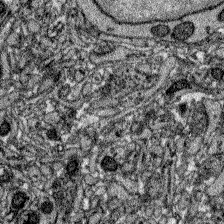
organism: Zebrafish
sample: Larval olfactory bulb